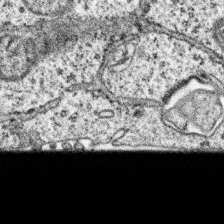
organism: Human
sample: HeLa cells